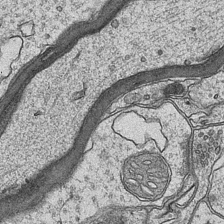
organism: Mouse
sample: CA1 Hippocampus